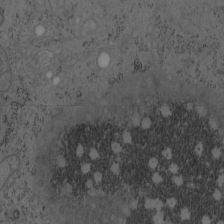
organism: Mouse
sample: OT-I killer T cells with ID8 ovarian cancer cells